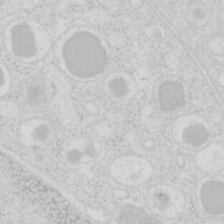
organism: Mouse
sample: Pancreas